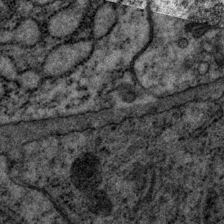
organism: P. pacificus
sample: Pharynx